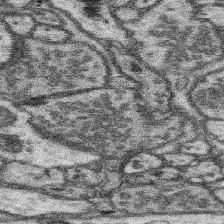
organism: Mouse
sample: Somatosensory cortex neuropil